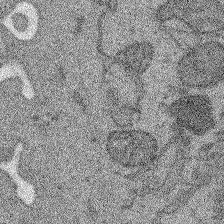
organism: Human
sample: HeLa cells